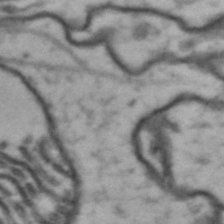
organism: Drosophila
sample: Brain